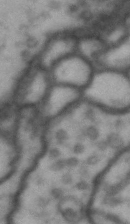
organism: Drosophila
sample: Brain